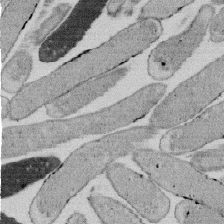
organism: E. coli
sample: Bacterial nucleoid